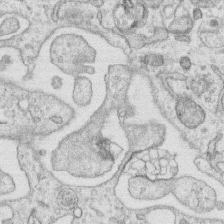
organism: Human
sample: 1205lu cells